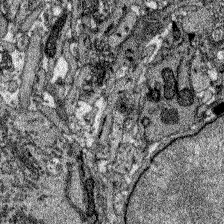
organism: Zebrafish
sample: Larval olfactory bulb